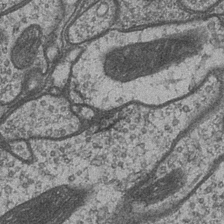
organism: Drosophila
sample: Optic medulla